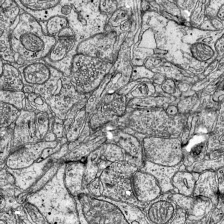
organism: Mouse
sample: Visual Cortex